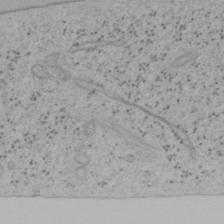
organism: Human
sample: HeLa cells